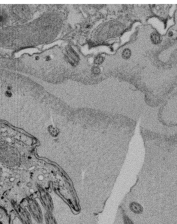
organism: Tetrahymena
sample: Cilia in tetrahymena